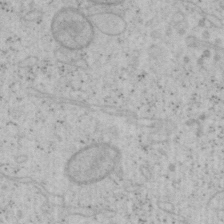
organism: Human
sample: HeLa cells